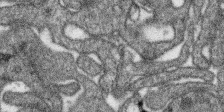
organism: Human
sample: Lung epithelial cells infected with SARS-CoV-2